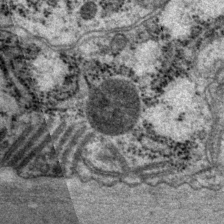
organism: P. pacificus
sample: Pharynx